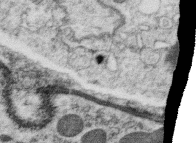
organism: C. elegans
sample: C. elegans oocyte; sperm cells